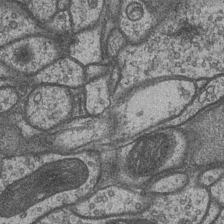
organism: Drosophila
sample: Optic medulla